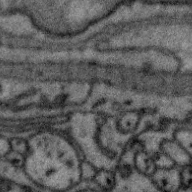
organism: Zebra finch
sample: Brain